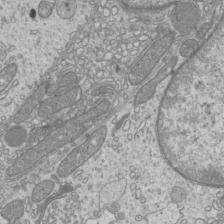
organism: Mouse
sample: Cilia; mouse epididymis